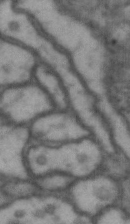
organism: Drosophila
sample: Brain